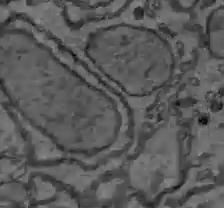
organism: C57BL Mouse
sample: Liver